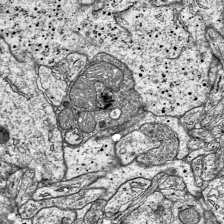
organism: Mouse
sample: Visual Cortex